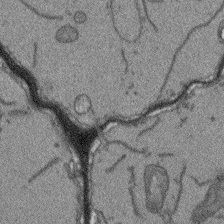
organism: Arabidopsis thaliana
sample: Root tip